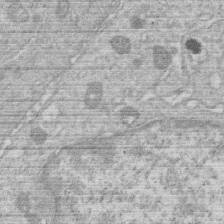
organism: Human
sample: Macrophage cells